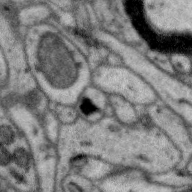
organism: Zebra finch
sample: Brain